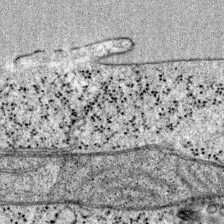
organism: Human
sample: HeLa cells